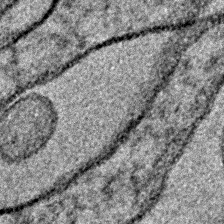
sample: Trachea